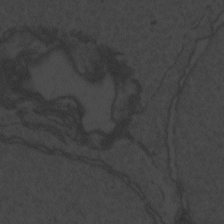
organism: Zebrafish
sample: Macrophage infected with Toxoplasma gondii